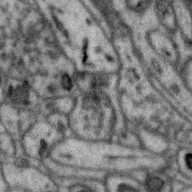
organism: Zebra finch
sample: Brain